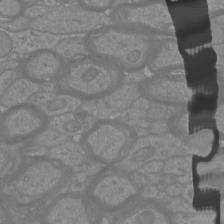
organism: Mouse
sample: Cortical neurons